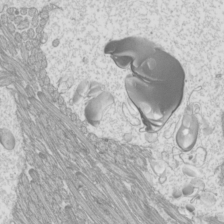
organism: Mouse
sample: Cilia; mouse epididymis